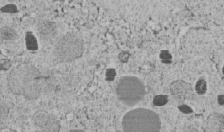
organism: C. elegans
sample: C. elegans embryo early stage